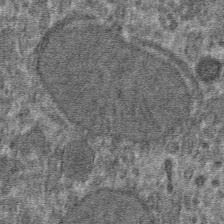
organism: Mouse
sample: Mouse hepatocytes